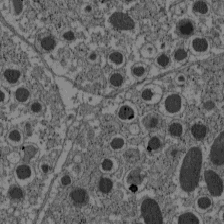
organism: C57BL Mouse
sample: Pancreatic islet